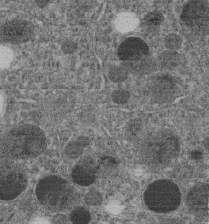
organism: C. elegans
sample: C. elegans embryo early stage